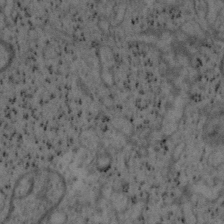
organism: Human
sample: HeLa cells